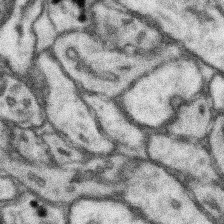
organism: Mouse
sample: Somatosensory cortex neuropil